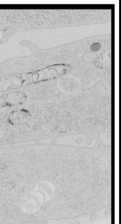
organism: Human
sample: Mitochondria in HCT116 cells